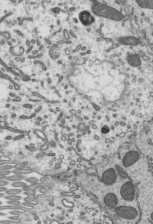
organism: Mouse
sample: Mouse epididymis efferent ductule cilia